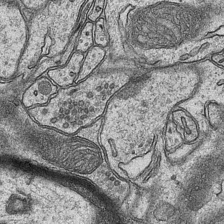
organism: Mouse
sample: CA1 Hippocampus